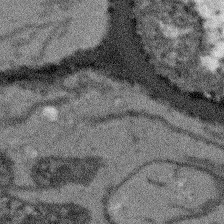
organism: Arabidopsis thaliana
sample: Root tip